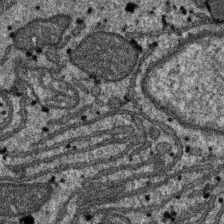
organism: Human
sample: Lung epithelial cells infected with SARS-CoV-2